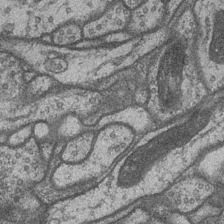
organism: Drosophila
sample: Optic medulla